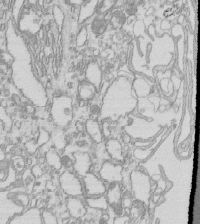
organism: Mouse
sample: Macrophages